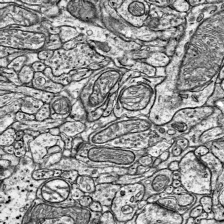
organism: Mouse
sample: Visual Cortex